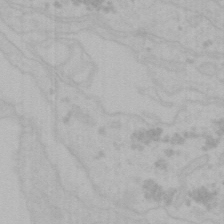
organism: Mouse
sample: Choroid plexus